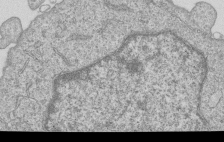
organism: Human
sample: MDA-MB-231 cells